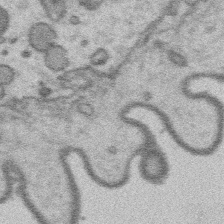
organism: Platynereis dumerilii